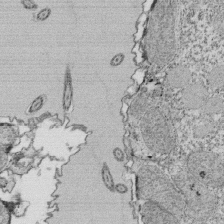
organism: Tetrahymena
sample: Cilia in tetrahymena